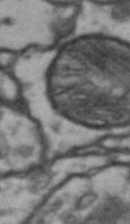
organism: Drosophila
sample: Brain